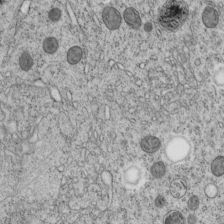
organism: C. elegans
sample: C. elegans embryo early stage